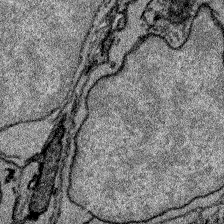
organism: Zebrafish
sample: Larval olfactory bulb